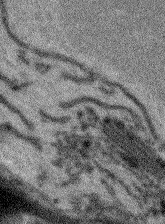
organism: Arabidopsis thaliana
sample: Root tip